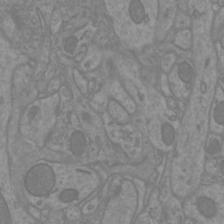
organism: Mouse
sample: Cortical neurons